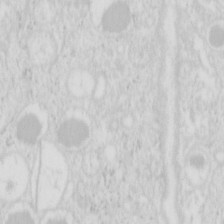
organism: Mouse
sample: Pancreas